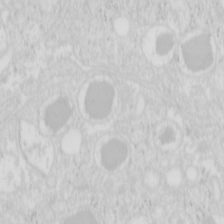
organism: Mouse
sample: Pancreas